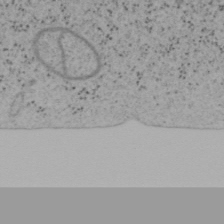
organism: Human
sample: HeLa cells